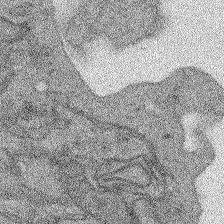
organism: Human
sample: HeLa cells